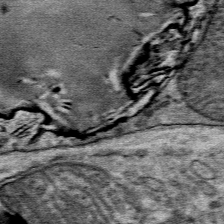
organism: Mouse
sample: Mouse Salivary gland